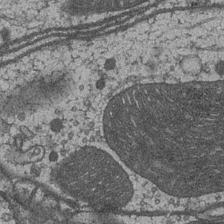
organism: Drosophila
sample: Optic medulla